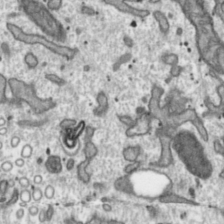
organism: Toxoplasma gondii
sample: Parasites in a vacuole inside a host cell